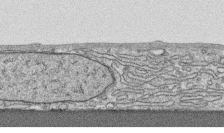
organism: Human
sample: CRL-1474